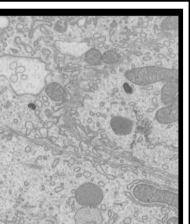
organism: Mouse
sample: Cilia; mouse epididymis